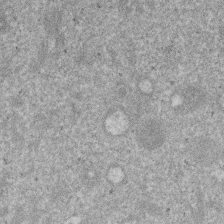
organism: Mouse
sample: Dividing mouse embryo 1 cell stage